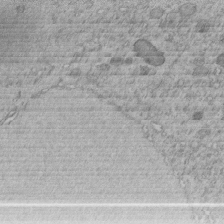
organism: C. elegans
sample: C. elegans embryo early stage